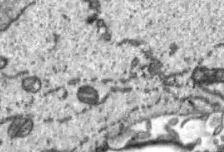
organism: Human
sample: HeLa cells